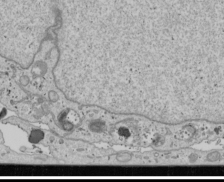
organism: Human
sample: Mitochondria in U2OS cells